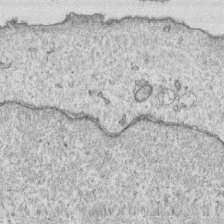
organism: Human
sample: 1205lu cells